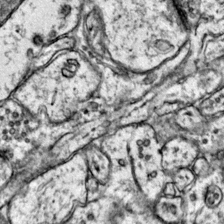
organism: Mouse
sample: Primary visual cortex